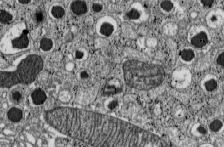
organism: C57BL Mouse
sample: Pancreatic islet